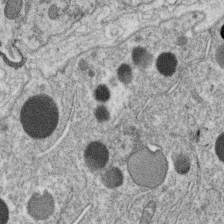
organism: C. elegans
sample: C. elegans oocyte; sperm cells